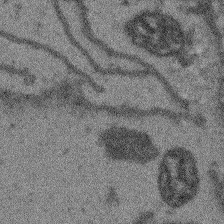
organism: Arabidopsis thaliana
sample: Root tip